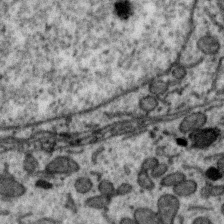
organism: Zebra finch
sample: Brain